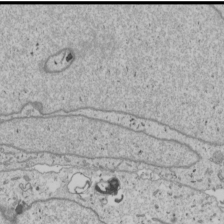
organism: Human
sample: Mitochondria in U2OS cells